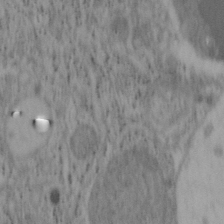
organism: Mouse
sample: OT-I killer T cells with ID8 ovarian cancer cells